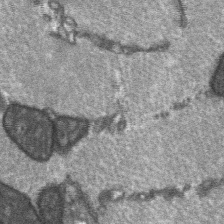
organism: C57BL Mouse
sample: Soleus